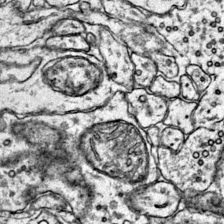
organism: Mouse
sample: Primary visual cortex